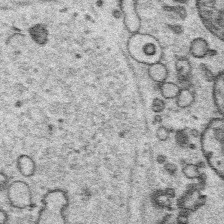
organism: Platynereis dumerilii